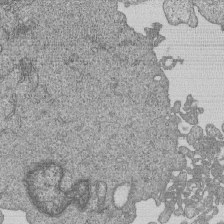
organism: Human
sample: MDA-MB-231 cells